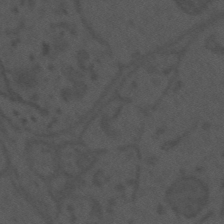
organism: Mouse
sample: Suprachiasmatic nucleus